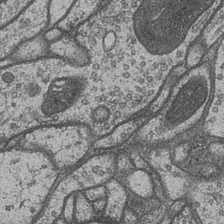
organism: Drosophila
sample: Optic medulla